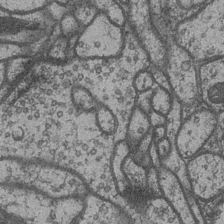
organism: Drosophila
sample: Optic medulla